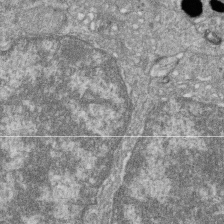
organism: Zebrafish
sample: Cilia; retinal pigment epithelium